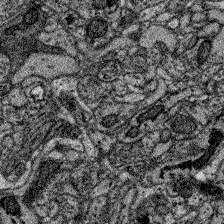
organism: Zebrafish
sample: Larval olfactory bulb